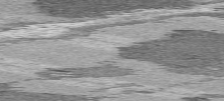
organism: C57BL Mouse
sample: Heart